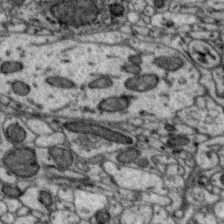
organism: Zebra finch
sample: Brain